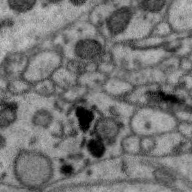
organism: Zebra finch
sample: Brain